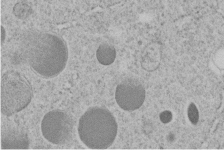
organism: C. elegans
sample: C. elegans embryo early stage